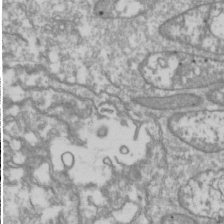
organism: Drosophila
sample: Cell division; meiosis; drosophila spermatocytes